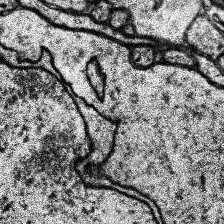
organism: Human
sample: Temporal Lobe